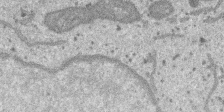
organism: Human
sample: Lung epithelial cells infected with SARS-CoV-2